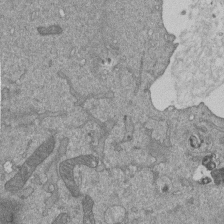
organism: Mouse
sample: ED-1 cell nuclei; centrioles